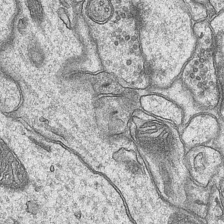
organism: Mouse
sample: CA1 Hippocampus